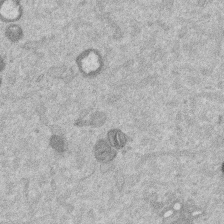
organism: Mouse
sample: Dividing mouse embryo 1 cell stage